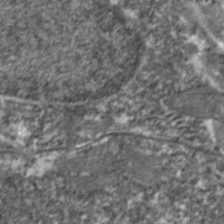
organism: Zebrafish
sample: Zebrafish embryo